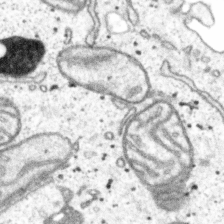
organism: Human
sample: HeLa cells